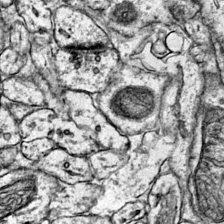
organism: Mouse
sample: Primary visual cortex